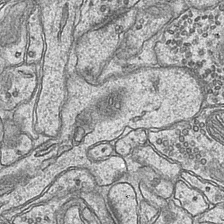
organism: Mouse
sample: CA1 Hippocampus